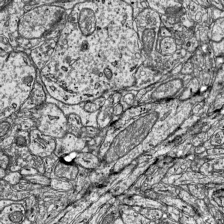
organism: Mouse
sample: Visual Cortex